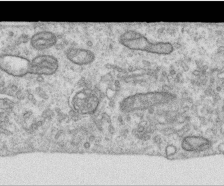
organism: Human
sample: Centriole in RPE cells